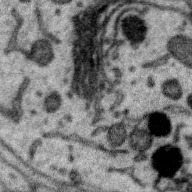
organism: Zebra finch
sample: Brain